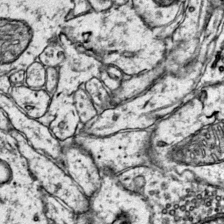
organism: Mouse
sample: Primary visual cortex